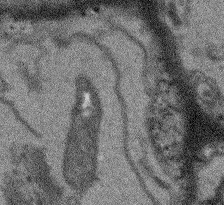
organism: Arabidopsis thaliana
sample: Root tip